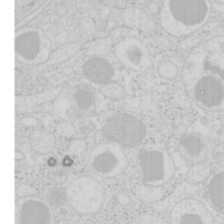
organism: Mouse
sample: Pancreas